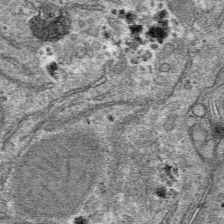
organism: Mouse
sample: Mouse hepatocytes